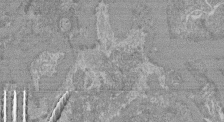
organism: Mouse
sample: Glomerulus